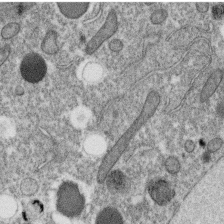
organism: C. elegans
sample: C. elegans oocyte; sperm cells